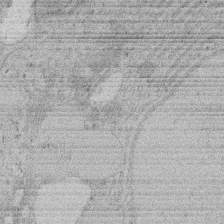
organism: Rat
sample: Salivary granule